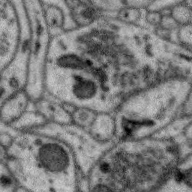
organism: Zebra finch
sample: Brain